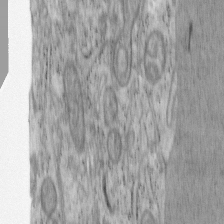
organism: Human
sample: HeLa cells